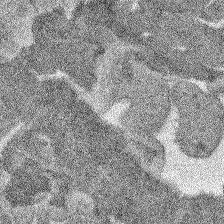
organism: Human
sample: HeLa cells